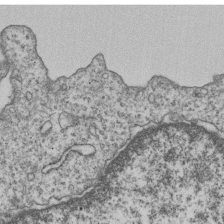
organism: Human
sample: MDA-MB-231 cells